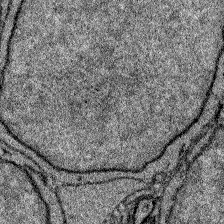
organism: Zebrafish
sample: Larval olfactory bulb